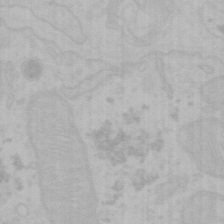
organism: Mouse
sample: Choroid plexus